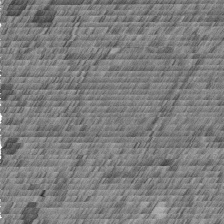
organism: C. elegans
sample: C. elegans embryo early stage